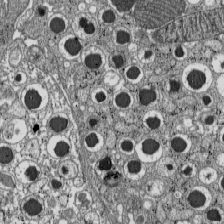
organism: C57BL Mouse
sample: Pancreatic islet